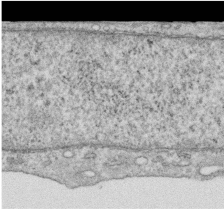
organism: Human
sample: Centriole in RPE cells